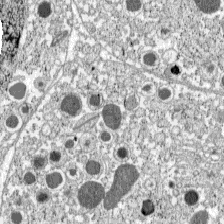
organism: C57BL Mouse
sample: Pancreatic islet